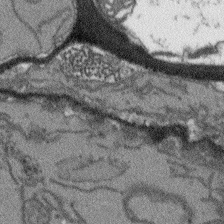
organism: Arabidopsis thaliana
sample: Root tip